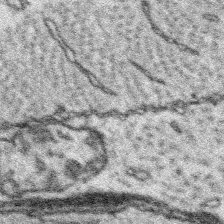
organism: Platynereis dumerilii